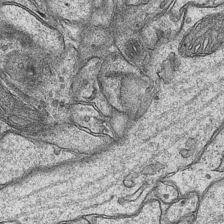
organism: Mouse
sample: CA1 Hippocampus